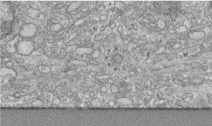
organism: Human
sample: Centriole in RPE cells